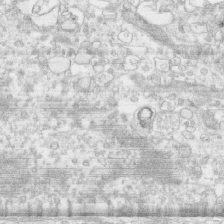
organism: Human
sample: CRL-1474